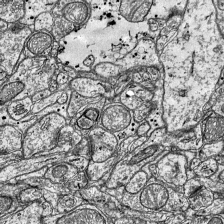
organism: Mouse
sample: Visual Cortex